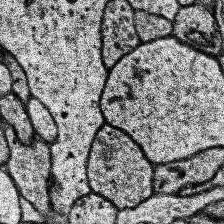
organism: Human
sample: Temporal Lobe